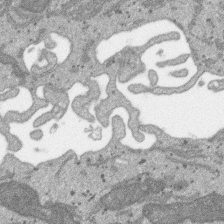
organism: Human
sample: Lung epithelial cells infected with SARS-CoV-2